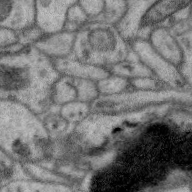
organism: Zebra finch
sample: Brain